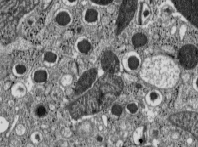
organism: C57BL Mouse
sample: Pancreatic islet